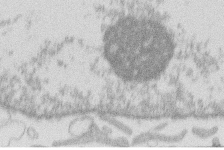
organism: Human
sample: Macrophage cells